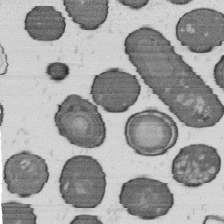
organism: B. subtilis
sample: Bacterial spore